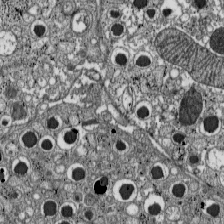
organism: C57BL Mouse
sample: Pancreatic islet